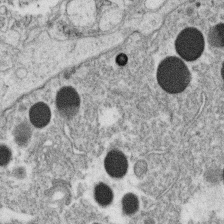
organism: C. elegans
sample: C. elegans oocyte; sperm cells